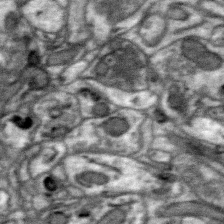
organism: Zebra finch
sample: Brain